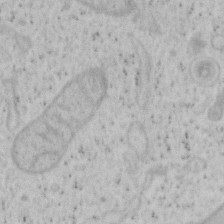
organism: Human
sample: HeLa cells